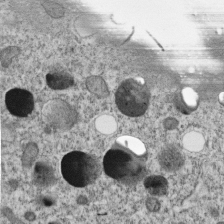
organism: C. elegans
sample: C. elegans embryo early stage